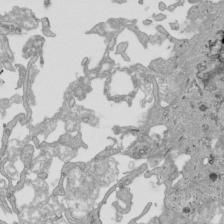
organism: Human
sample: Mitochondria in HCT116 cells